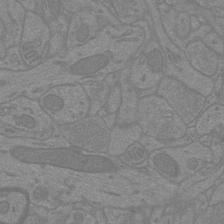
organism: Mouse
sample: Cortical neurons